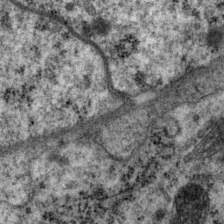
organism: P. pacificus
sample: Pharynx